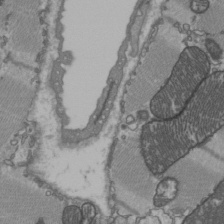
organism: C57BL Mouse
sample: Heart